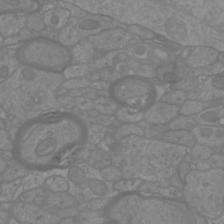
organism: Mouse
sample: Cortical neurons